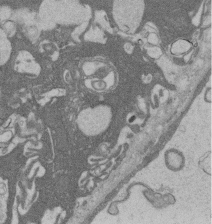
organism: Rat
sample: Salivary granule